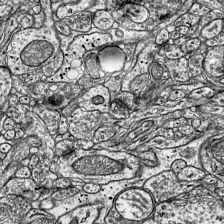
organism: Mouse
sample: Visual Cortex